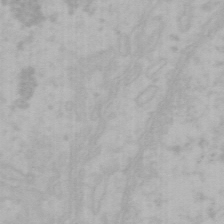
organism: Mouse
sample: Choroid plexus